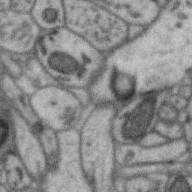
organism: Zebra finch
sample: Brain